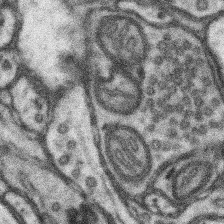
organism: Mouse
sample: Somatosensory cortex neuropil